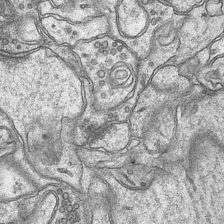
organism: Mouse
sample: CA1 Hippocampus